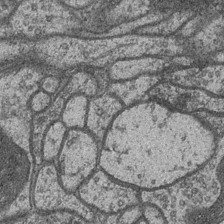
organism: Drosophila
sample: Optic medulla